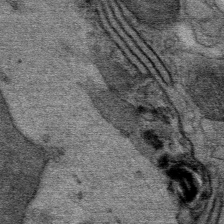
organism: Mouse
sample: Mouse Salivary gland